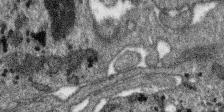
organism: Human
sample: Lung epithelial cells infected with SARS-CoV-2